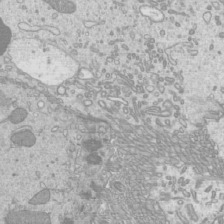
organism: Mouse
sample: Cilia; mouse epididymis